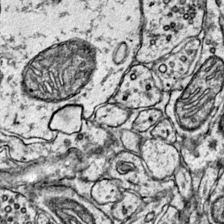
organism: Mouse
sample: Primary visual cortex